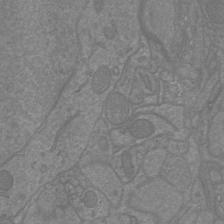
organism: Mouse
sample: Cortical neurons